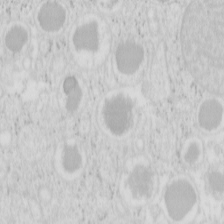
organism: Mouse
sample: Pancreas